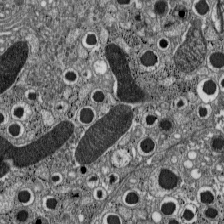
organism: C57BL Mouse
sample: Pancreatic islet